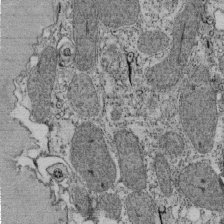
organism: Tetrahymena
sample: Cilia in tetrahymena